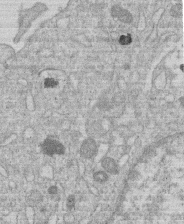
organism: Human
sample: Macrophage cells